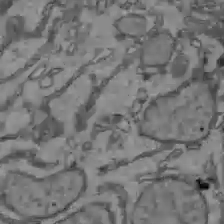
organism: C57BL Mouse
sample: Liver